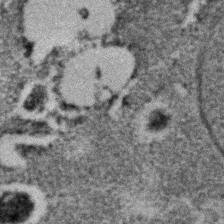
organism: C. elegans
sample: C. elegans embryo